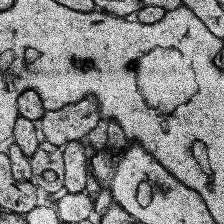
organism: Human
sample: Temporal Lobe